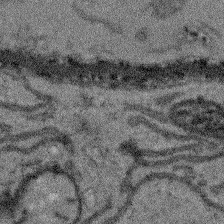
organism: Arabidopsis thaliana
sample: Root tip